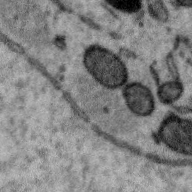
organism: Zebra finch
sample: Brain